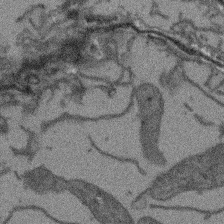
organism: Arabidopsis thaliana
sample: Root tip